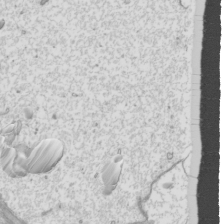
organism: Mouse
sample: Cilia; mouse epididymis